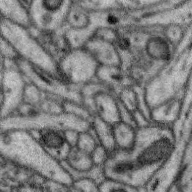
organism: Zebra finch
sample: Brain